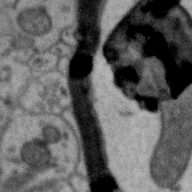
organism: Zebra finch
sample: Brain